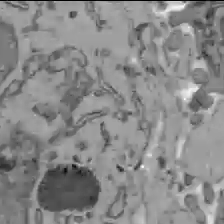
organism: C57BL Mouse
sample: Liver